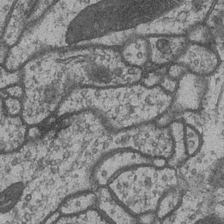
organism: Drosophila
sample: Optic medulla